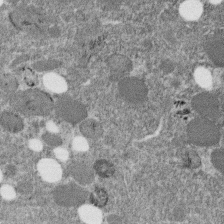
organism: C. elegans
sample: C. elegans embryo early stage